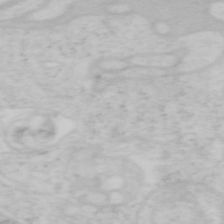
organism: Mouse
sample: OT-I killer T cells with ID8 ovarian cancer cells